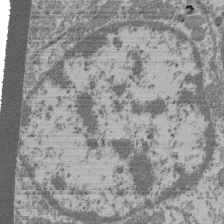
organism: Mouse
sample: Glomerulus